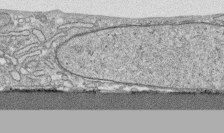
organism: Human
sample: CRL-1474